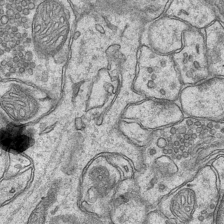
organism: Mouse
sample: CA1 Hippocampus